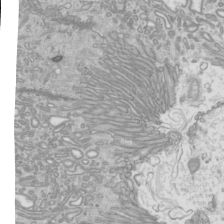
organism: Mouse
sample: Cilia; mouse epididymis